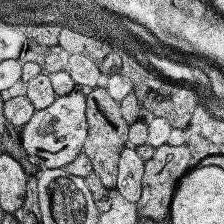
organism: Human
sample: Temporal Lobe